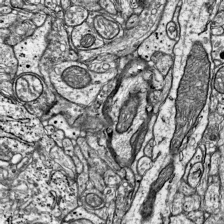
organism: Mouse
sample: Visual Cortex